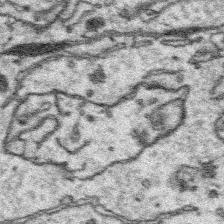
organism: Platynereis dumerilii